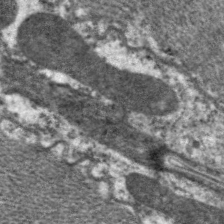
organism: C. elegans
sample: Pharynx